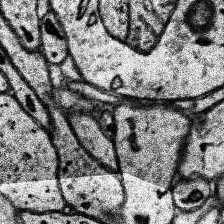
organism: Human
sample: Temporal Lobe